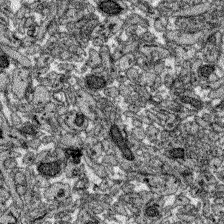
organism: Zebrafish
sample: Larval olfactory bulb